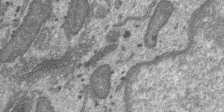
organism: Human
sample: Lung epithelial cells infected with SARS-CoV-2